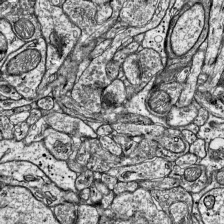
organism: Mouse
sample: Visual Cortex